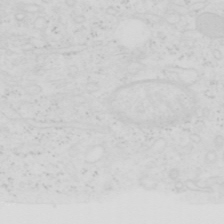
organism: Human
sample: SUM-159 cell